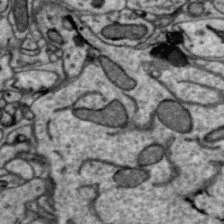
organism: Zebra finch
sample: Brain